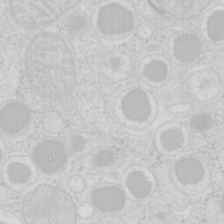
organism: Mouse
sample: Pancreas